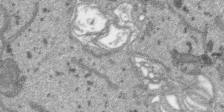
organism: Human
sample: Lung epithelial cells infected with SARS-CoV-2